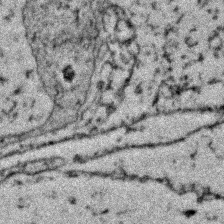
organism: Zebrafish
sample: Zebrafish embryo